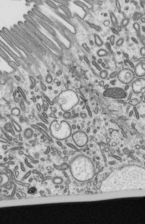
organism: Mouse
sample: Mouse epididymis efferent ductule cilia